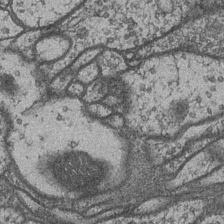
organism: Drosophila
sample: Optic medulla